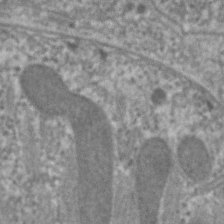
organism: C. elegans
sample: Pharynx